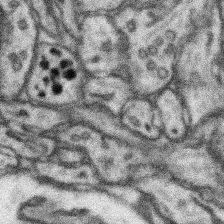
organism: Mouse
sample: Somatosensory cortex neuropil